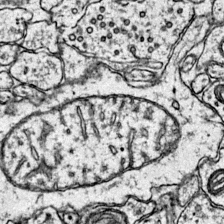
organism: Mouse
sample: Primary visual cortex